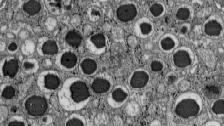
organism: C57BL Mouse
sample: Pancreatic islet